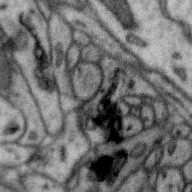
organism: Zebra finch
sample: Brain